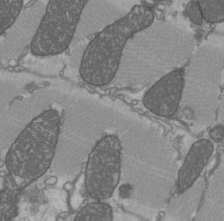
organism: C57BL Mouse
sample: Heart